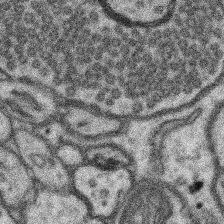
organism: Mouse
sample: Somatosensory cortex neuropil